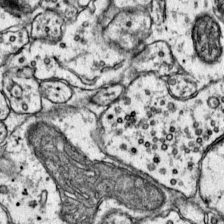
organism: Mouse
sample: Primary visual cortex